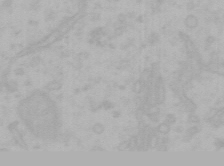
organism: Mouse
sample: Choroid plexus